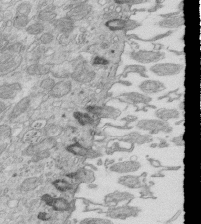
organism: Mouse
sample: Multiciliated cells